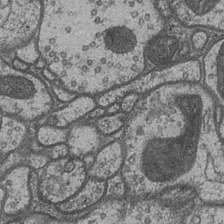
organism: Drosophila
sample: Optic medulla